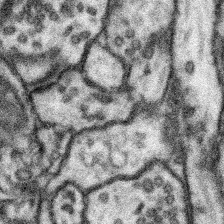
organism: Mouse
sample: Somatosensory cortex neuropil